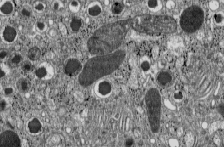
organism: C57BL Mouse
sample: Pancreatic islet